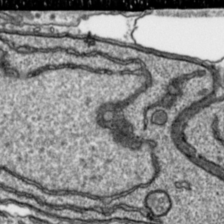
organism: Toxoplasma gondii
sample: Parasites in a vacuole inside a host cell